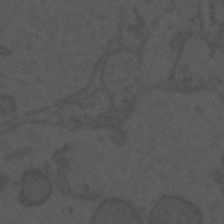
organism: Mouse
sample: Suprachiasmatic nucleus